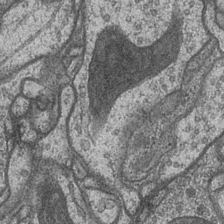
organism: Drosophila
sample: Optic medulla